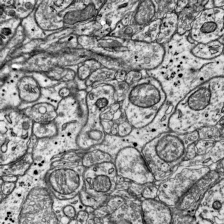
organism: Mouse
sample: Visual Cortex